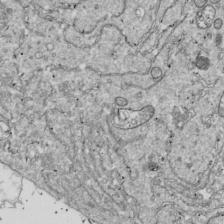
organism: Drosophila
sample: Cell division; meiosis; drosophila spermatocytes